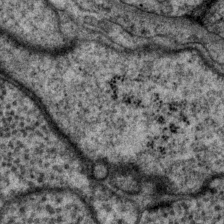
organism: P. pacificus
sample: Pharynx